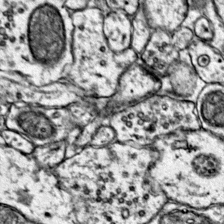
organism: Mouse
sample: Primary visual cortex